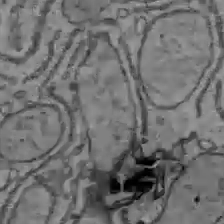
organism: C57BL Mouse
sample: Liver